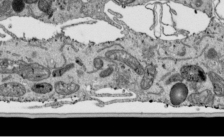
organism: Human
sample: Mitochondria in HCT116 cells